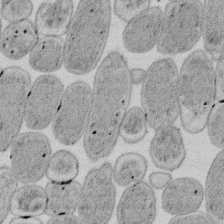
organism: E. coli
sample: Bacterial nucleoid